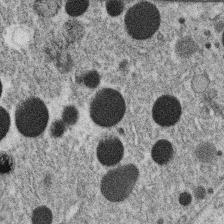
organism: C. elegans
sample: C. elegans oocyte; sperm cells